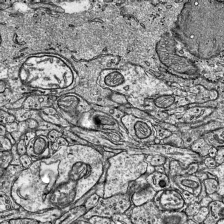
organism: Mouse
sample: Visual Cortex